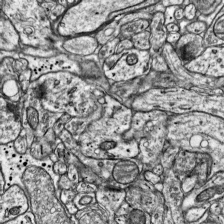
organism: Mouse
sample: Visual Cortex